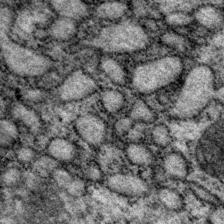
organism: P. pacificus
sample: Pharynx